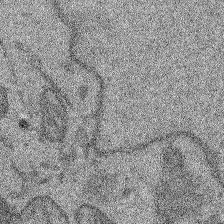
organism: Human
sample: HeLa cells